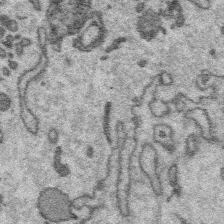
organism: Platynereis dumerilii